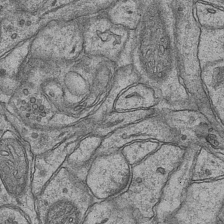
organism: Mouse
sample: CA1 Hippocampus